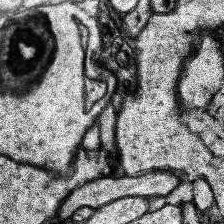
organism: Human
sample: Temporal Lobe